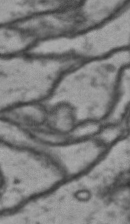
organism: Drosophila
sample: Brain